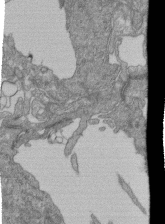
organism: Human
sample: Retinal organoid Rod and Cone cells